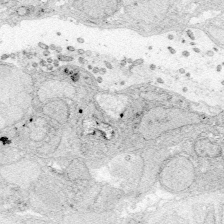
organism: Zebrafish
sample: Whole-Brain